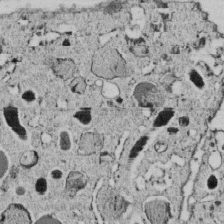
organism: C. elegans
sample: C. elegans embryo early stage